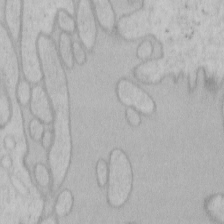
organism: Human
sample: HeLa cells